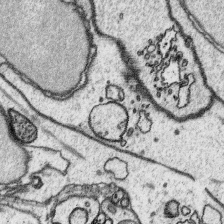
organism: Platynereis dumerilii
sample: Parapodia